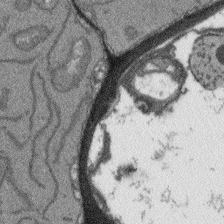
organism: Arabidopsis thaliana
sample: Root tip